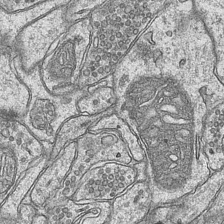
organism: Mouse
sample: CA1 Hippocampus